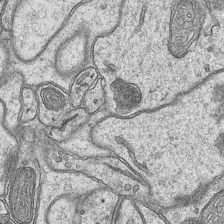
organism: Mouse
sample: CA1 Hippocampus